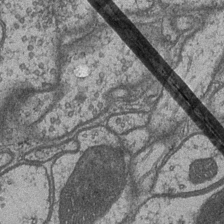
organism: Drosophila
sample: Optic medulla